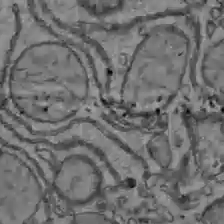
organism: C57BL Mouse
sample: Liver